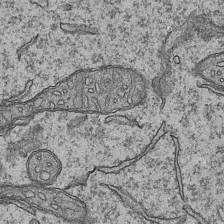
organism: Mouse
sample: CA1 Hippocampus